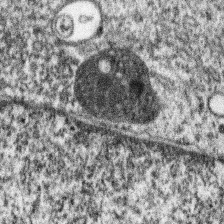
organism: Human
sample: HeLa cells